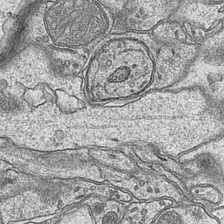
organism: Mouse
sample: CA1 Hippocampus